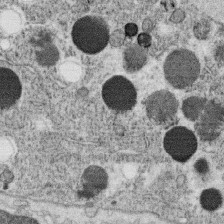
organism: C. elegans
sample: C. elegans oocyte; sperm cells